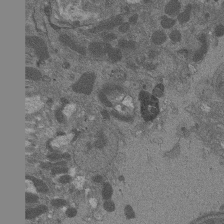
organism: Drosophila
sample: Antenna